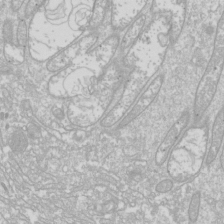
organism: Drosophila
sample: Cell division; meiosis; drosophila spermatocytes